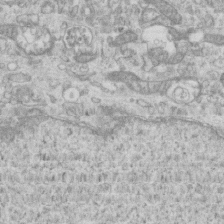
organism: Mouse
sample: Centriole in ependymal cells